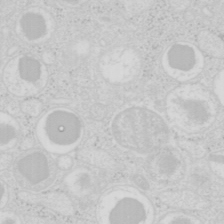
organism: Mouse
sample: Pancreas